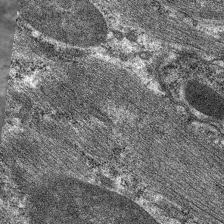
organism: C. elegans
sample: Pharynx